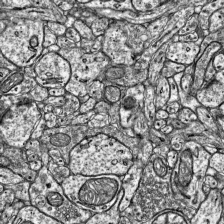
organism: Mouse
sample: Visual Cortex